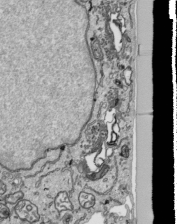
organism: Human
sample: Mitochondria in HCT116 cells